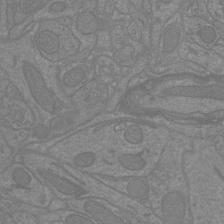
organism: Mouse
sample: Cortical neurons